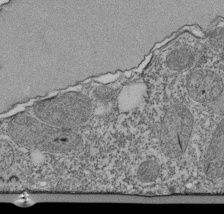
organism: Tetrahymena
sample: Cilia in tetrahymena